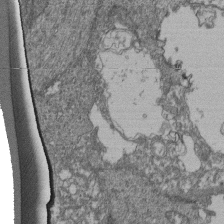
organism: Human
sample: Retinal organoid Rod and Cone cells